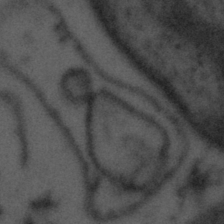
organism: Tuwongella immobilis